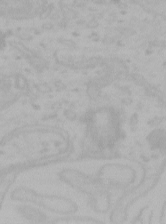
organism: Mouse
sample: Choroid plexus